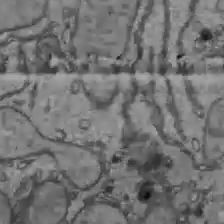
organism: C57BL Mouse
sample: Liver